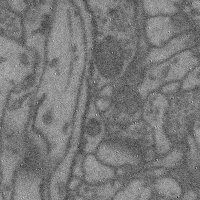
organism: Mouse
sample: Cerebral cortex